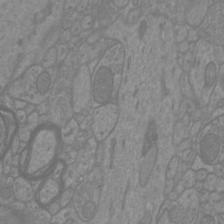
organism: Mouse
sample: Cortical neurons